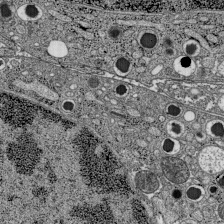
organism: C57BL Mouse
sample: Pancreatic islet